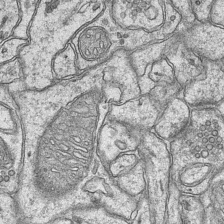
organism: Mouse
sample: CA1 Hippocampus